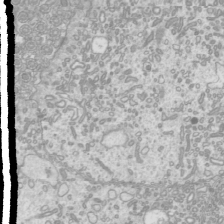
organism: Mouse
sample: Cilia; mouse epididymis